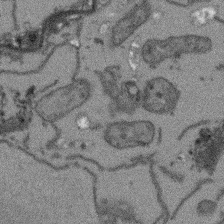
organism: Arabidopsis thaliana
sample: Root tip